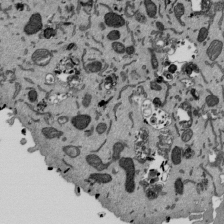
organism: Mouse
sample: ED-1 cell nuclei; centrioles